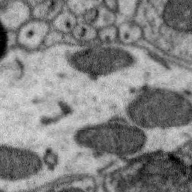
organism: Zebra finch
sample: Brain